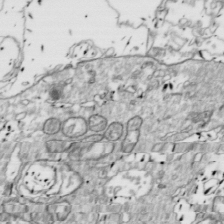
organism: Drosophila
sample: Cell division; meiosis; drosophila spermatocytes